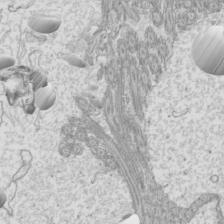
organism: Mouse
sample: Cilia; mouse epididymis